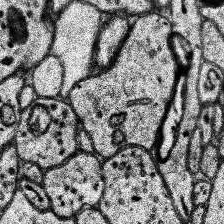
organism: Human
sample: Temporal Lobe